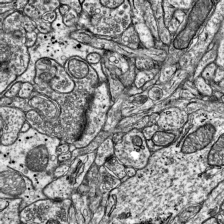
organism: Mouse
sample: Visual Cortex